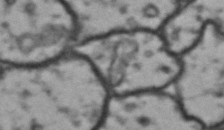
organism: Drosophila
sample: Brain